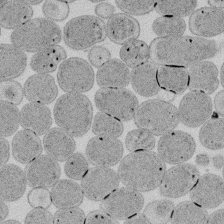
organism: E. coli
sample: Bacterial nucleoid